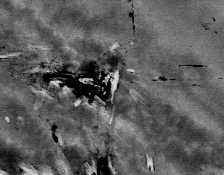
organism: Mouse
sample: Mouse Salivary gland